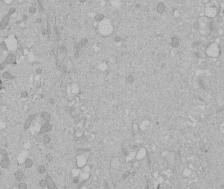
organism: Human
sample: Melanocyte Keratinocyte synapse skin construct